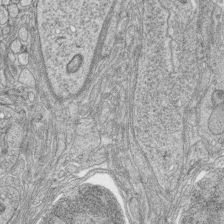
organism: Zebrafish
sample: synaptic ribbons in rod cells and cone cells